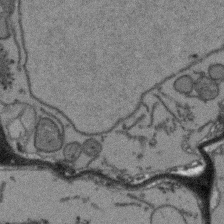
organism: Arabidopsis thaliana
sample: Root tip